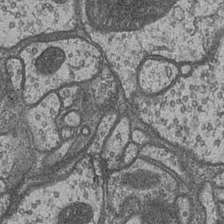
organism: Drosophila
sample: Optic medulla